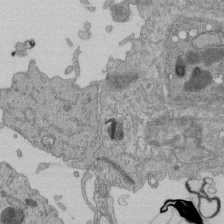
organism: Human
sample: Retinal organoid Rod and Cone cells